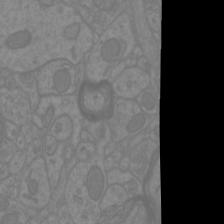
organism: Mouse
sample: Cortical neurons